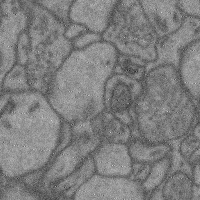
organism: Mouse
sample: Cerebral cortex